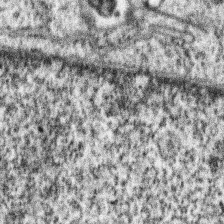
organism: Human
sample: HeLa cells